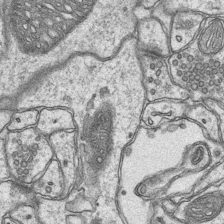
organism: Mouse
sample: CA1 Hippocampus